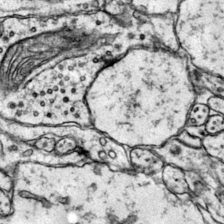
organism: Mouse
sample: Primary visual cortex